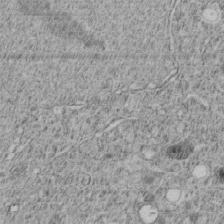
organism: C. elegans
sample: C. elegans embryo early stage